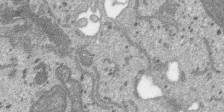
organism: Human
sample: Lung epithelial cells infected with SARS-CoV-2